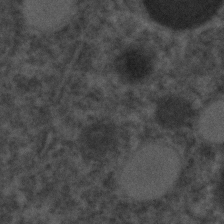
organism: C. elegans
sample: C. elegans embryo